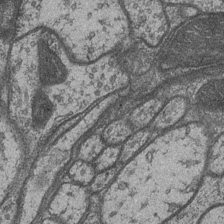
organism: Drosophila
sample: Optic medulla